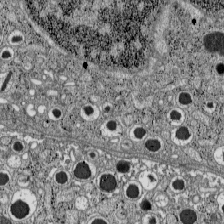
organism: C57BL Mouse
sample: Pancreatic islet